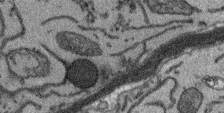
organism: Arabidopsis thaliana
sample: Root tip